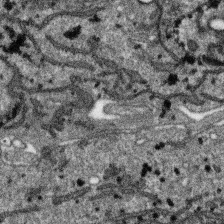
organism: Human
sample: Lung epithelial cells infected with SARS-CoV-2